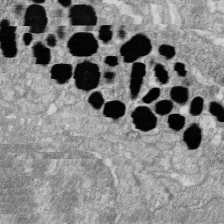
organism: Zebrafish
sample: Cilia; retinal pigment epithelium